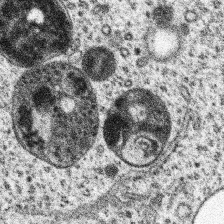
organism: Human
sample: HeLa cells